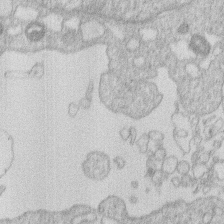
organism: Human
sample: Macrophage cells